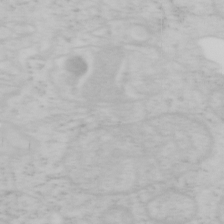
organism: Mouse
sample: OT-I killer T cells with ID8 ovarian cancer cells